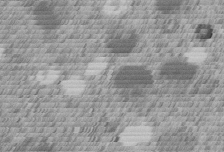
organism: C. elegans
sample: C. elegans embryo early stage